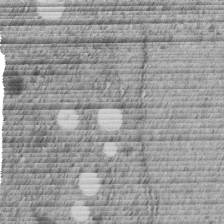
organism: C. elegans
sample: C. elegans embryo early stage